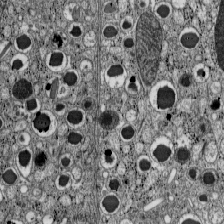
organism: C57BL Mouse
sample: Pancreatic islet